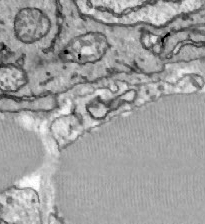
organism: Zebrafish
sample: Actinotrichia fibers